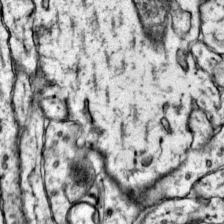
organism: Mouse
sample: Primary visual cortex